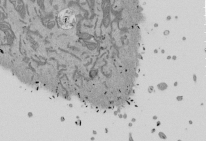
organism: Mouse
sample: ED-1 cell nuclei; centrioles